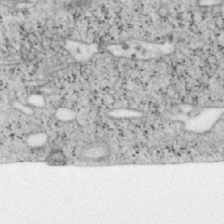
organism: Mouse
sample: OT-I killer T cells with ID8 ovarian cancer cells